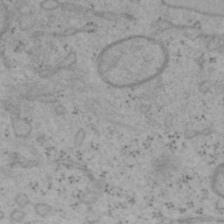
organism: Human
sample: HeLa cells